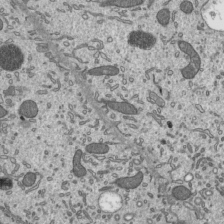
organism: Mouse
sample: Mouse epididymis efferent ductule cilia